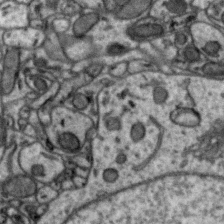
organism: Zebra finch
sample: Brain